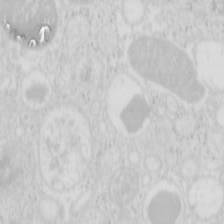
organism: Mouse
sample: Pancreas